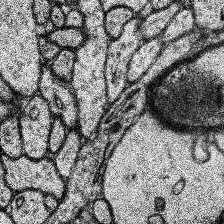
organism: Human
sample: Temporal Lobe